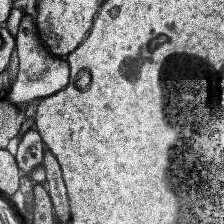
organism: Human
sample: Temporal Lobe